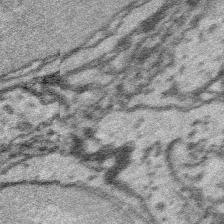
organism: Platynereis dumerilii